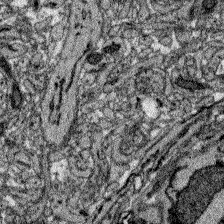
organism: Zebrafish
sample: Larval olfactory bulb